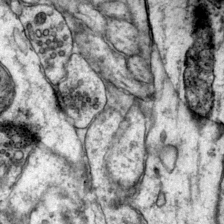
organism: Mouse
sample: Primary visual cortex